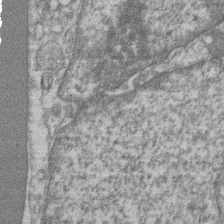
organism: Mouse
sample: T cell stromal cell synapse